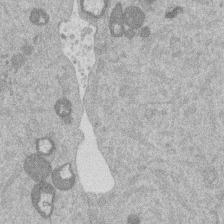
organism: Mouse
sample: Dividing mouse embryo 1 cell stage